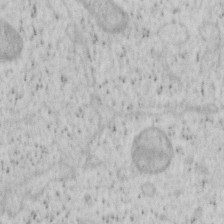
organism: Human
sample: HeLa cells